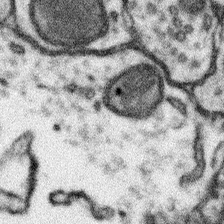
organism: Mouse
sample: Somatosensory cortex neuropil